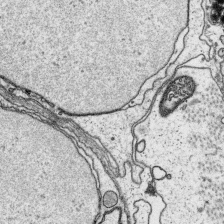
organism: Platynereis dumerilii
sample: Parapodia